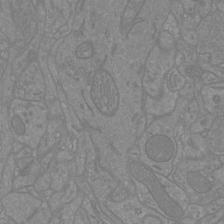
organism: Mouse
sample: Cortical neurons